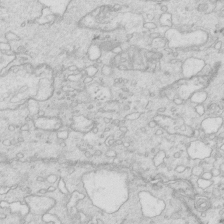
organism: Mouse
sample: Multiciliated cells